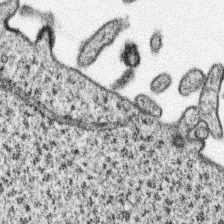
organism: Human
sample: HeLa cells